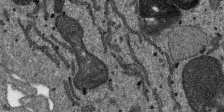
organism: Human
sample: Lung epithelial cells infected with SARS-CoV-2